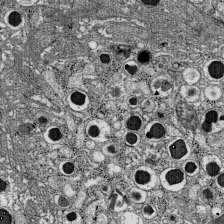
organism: C57BL Mouse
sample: Pancreatic islet